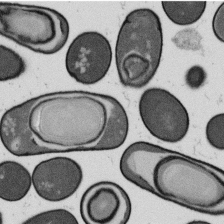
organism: B. subtilis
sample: Bacterial spore